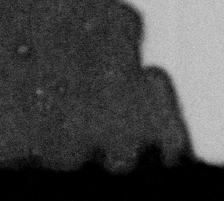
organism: Gemmata obscuriglobus